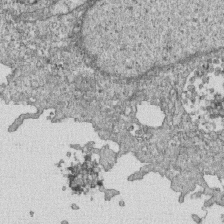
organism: Human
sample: HeLa cell HIV synapse